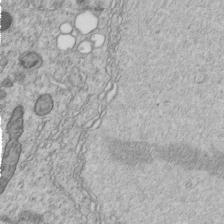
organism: C. elegans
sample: C. elegans embryo early stage